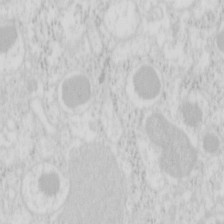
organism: Mouse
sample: Pancreas